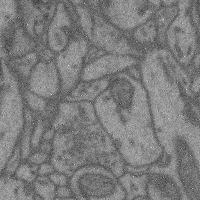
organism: Mouse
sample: Cerebral cortex